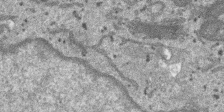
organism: Human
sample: Lung epithelial cells infected with SARS-CoV-2